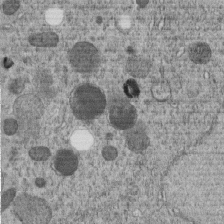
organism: C. elegans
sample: C. elegans embryo early stage